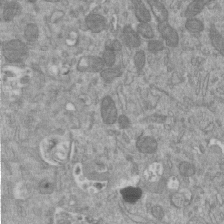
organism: Mouse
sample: ED-1 cell nuclei; centrioles